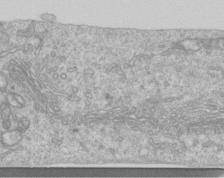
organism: Human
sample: Centriole in RPE cells